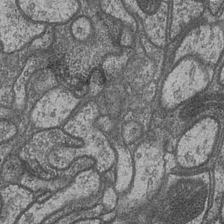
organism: Drosophila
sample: Optic medulla